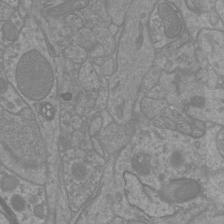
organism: Mouse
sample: Cortical neurons